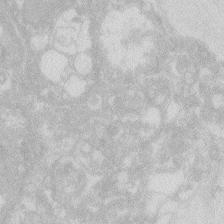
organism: Zebrafish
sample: Macrophage